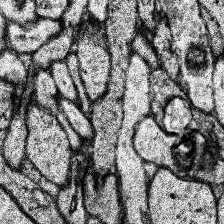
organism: Human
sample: Temporal Lobe